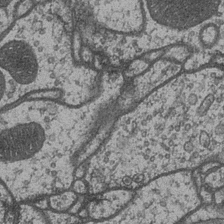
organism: Drosophila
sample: Optic medulla